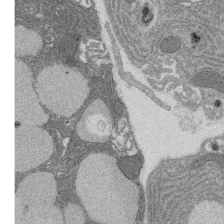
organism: Rat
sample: Salivary granule